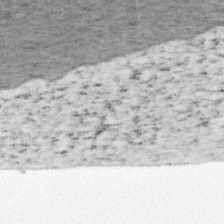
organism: Mouse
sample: OT-I killer T cells with ID8 ovarian cancer cells